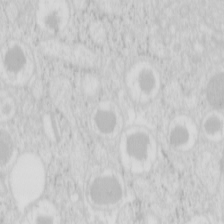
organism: Mouse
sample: Pancreas